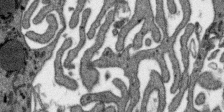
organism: Human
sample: Lung epithelial cells, uninfected (mock) control